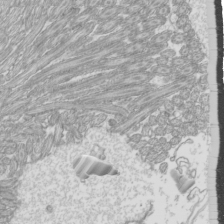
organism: Mouse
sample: Cilia; mouse epididymis